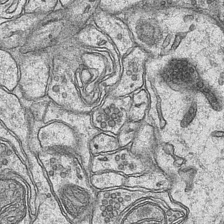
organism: Mouse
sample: CA1 Hippocampus